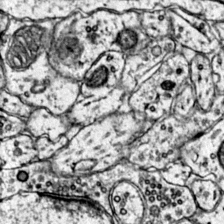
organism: Mouse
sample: Primary visual cortex